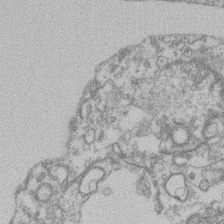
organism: Mouse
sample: T cell stromal cell synapse